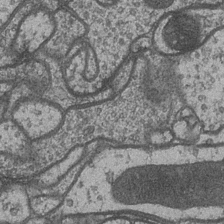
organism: Drosophila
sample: Optic medulla